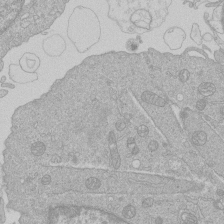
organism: Human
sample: Macrophage cells